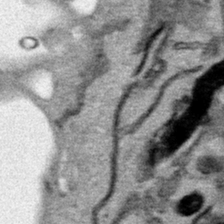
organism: Human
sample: Mitochondria in HCT116 cells